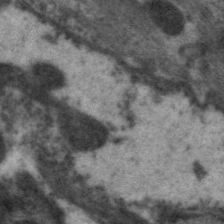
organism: C. elegans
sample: Pharynx